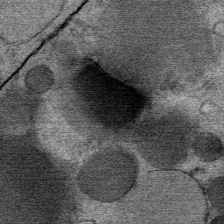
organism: Mouse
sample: Mouse Salivary gland